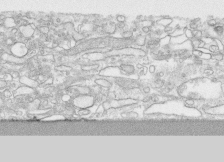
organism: Human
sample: CRL-1474